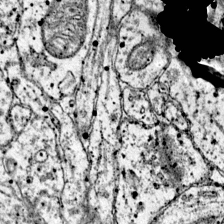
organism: Mouse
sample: Primary visual cortex